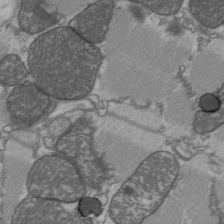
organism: C57BL Mouse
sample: Heart